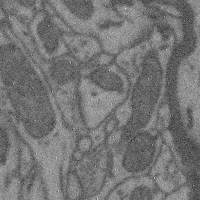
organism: Mouse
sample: Cerebral cortex